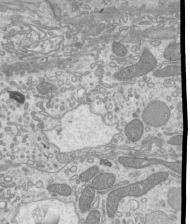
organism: Mouse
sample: Cilia; mouse epididymis